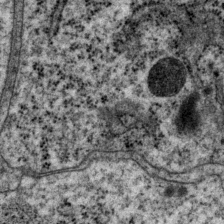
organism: P. pacificus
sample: Pharynx